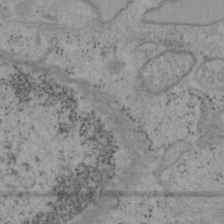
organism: Human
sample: HeLa cells